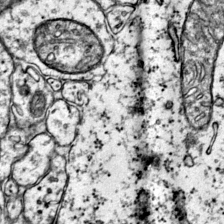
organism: Mouse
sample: Primary visual cortex